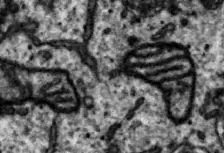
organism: Human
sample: HeLa cells